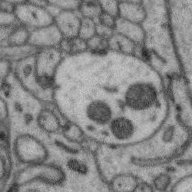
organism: Zebra finch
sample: Brain